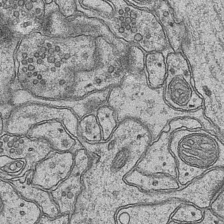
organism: Mouse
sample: CA1 Hippocampus